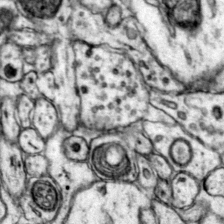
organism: Mouse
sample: Primary visual cortex